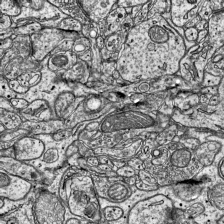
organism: Mouse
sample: Visual Cortex